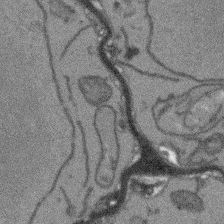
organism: Arabidopsis thaliana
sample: Root tip